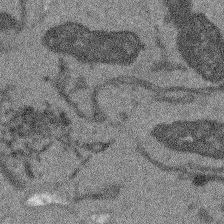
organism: Arabidopsis thaliana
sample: Root tip